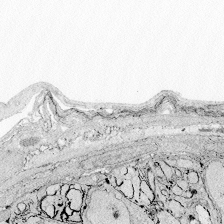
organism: Zebrafish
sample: Whole-Brain